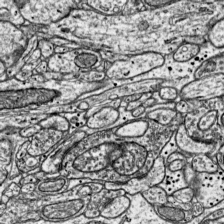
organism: Mouse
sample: Visual Cortex